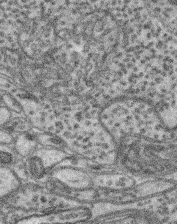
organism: Mouse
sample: Retina